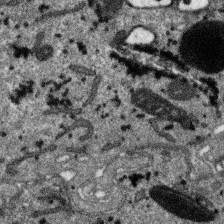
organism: Human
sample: Lung epithelial cells infected with SARS-CoV-2